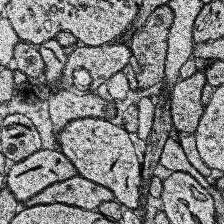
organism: Human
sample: Temporal Lobe